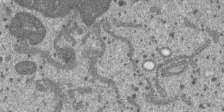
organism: Human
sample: Lung epithelial cells infected with SARS-CoV-2